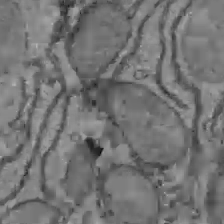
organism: C57BL Mouse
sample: Liver